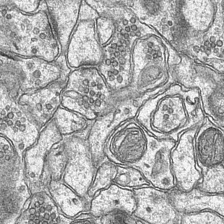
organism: Mouse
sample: CA1 Hippocampus